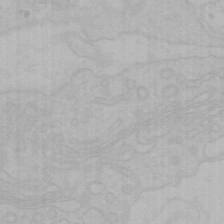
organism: Mouse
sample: Choroid plexus